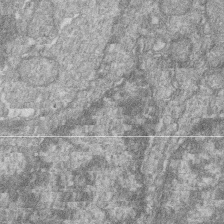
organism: Zebrafish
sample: Cilia; retinal pigment epithelium